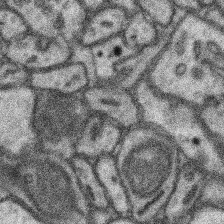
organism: Mouse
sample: Somatosensory cortex neuropil